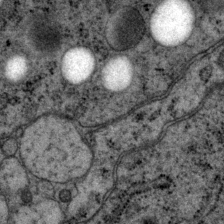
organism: P. pacificus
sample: Pharynx